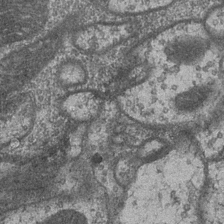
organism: Drosophila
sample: Optic medulla